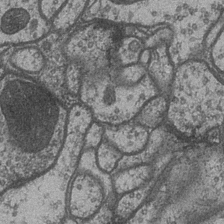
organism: Drosophila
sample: Optic medulla